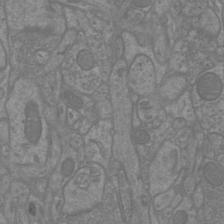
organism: Mouse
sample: Cortical neurons